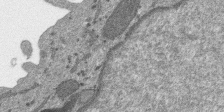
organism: Human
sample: Lung epithelial cells infected with SARS-CoV-2